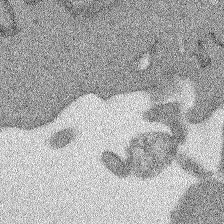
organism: Human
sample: HeLa cells